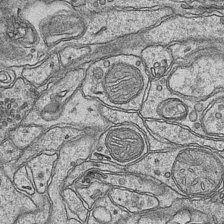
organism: Mouse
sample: CA1 Hippocampus